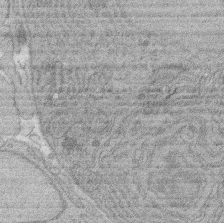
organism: Rat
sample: Salivary granule